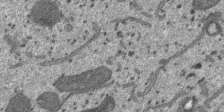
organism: Human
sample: Lung epithelial cells infected with SARS-CoV-2